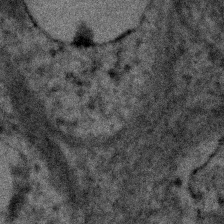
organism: Human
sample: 1205lu cells